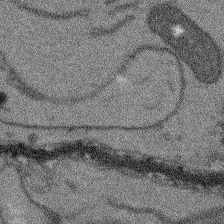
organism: Arabidopsis thaliana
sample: Root tip